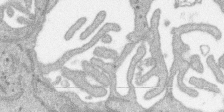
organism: Human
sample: Lung epithelial cells infected with SARS-CoV-2